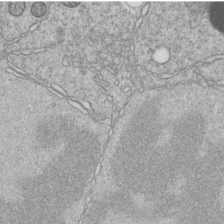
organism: C. elegans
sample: C. elegans embryo early stage